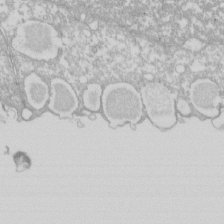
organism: Xenopus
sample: Cilia; centrioles in frog embryo cells